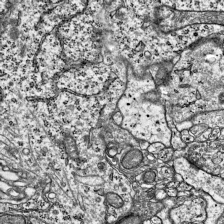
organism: Mouse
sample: Visual Cortex